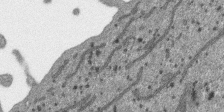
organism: Human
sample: Lung epithelial cells infected with SARS-CoV-2